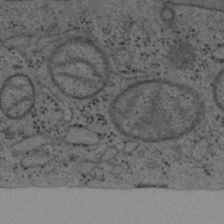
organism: Human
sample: HeLa cells